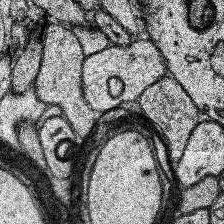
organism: Human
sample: Temporal Lobe